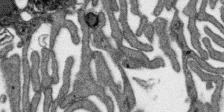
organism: Human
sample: Lung epithelial cells, uninfected (mock) control